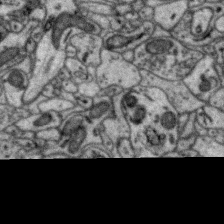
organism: Zebra finch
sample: Brain